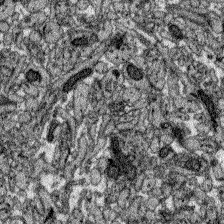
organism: Zebrafish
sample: Larval olfactory bulb